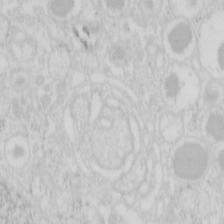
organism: Mouse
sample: Pancreas